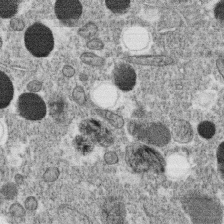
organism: C. elegans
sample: C. elegans oocyte; sperm cells